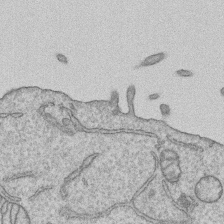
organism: Human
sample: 1205lu cells